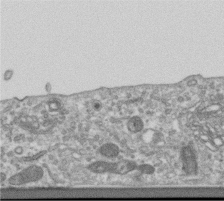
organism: Human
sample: Centriole in RPE cells